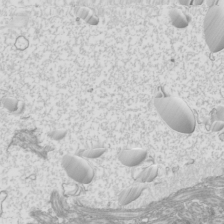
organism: Mouse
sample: Cilia; mouse epididymis